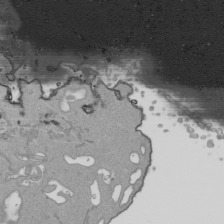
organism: Human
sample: Mitochondria in HCT116 cells